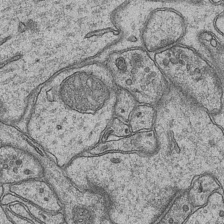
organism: Mouse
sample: CA1 Hippocampus